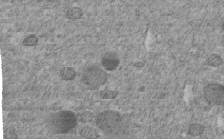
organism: C. elegans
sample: C. elegans embryo early stage